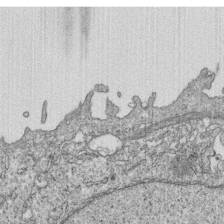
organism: Human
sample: HeLa cell HIV synapse